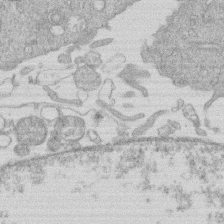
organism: Human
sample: Macrophage cells